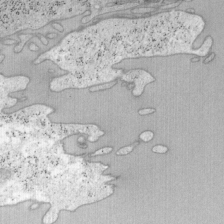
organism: Mouse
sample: OT-I killer T cells with ID8 ovarian cancer cells